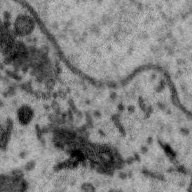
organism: Zebra finch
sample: Brain